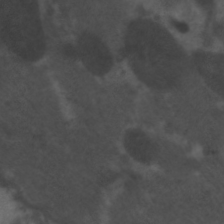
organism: C. elegans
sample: Pharynx